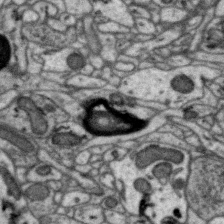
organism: Zebra finch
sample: Brain